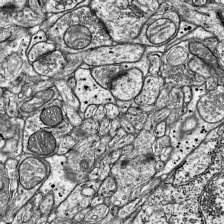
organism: Mouse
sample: Visual Cortex